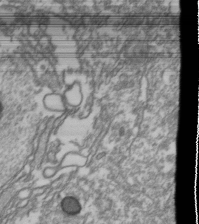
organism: Drosophila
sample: Cell division; meiosis; drosophila spermatocytes